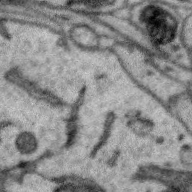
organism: Zebra finch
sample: Brain